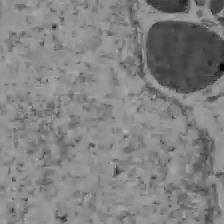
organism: C57BL Mouse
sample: Liver